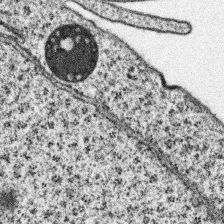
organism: Human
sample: HeLa cells